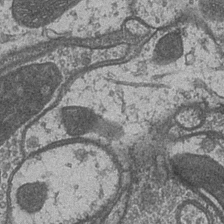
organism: Drosophila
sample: Optic medulla